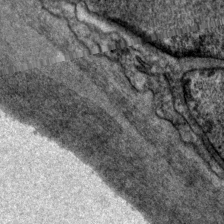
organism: P. pacificus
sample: Pharynx